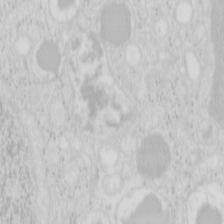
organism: Mouse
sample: Pancreas